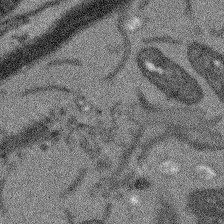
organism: Arabidopsis thaliana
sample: Root tip